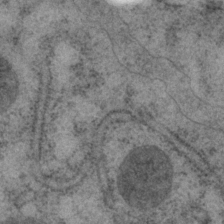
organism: P. pacificus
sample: Pharynx